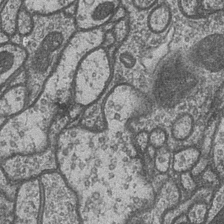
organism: Drosophila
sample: Optic medulla